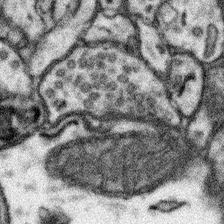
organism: Mouse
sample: Somatosensory cortex neuropil